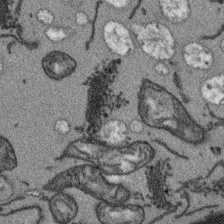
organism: Arabidopsis thaliana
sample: Root tip